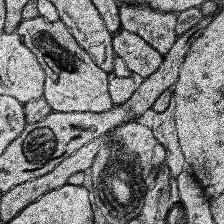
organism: Human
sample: Temporal Lobe